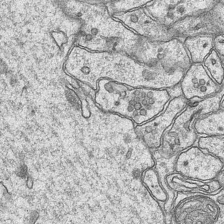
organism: Mouse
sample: CA1 Hippocampus